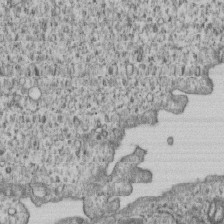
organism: Human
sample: MDA-MB-231 cells